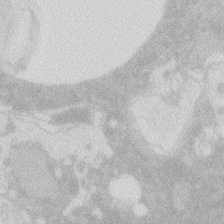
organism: Zebrafish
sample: Macrophage